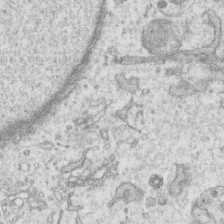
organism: Human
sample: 1205lu cells